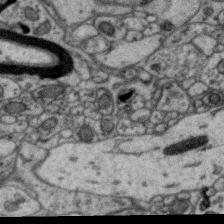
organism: Zebra finch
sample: Brain